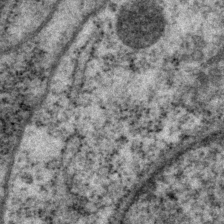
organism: P. pacificus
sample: Pharynx